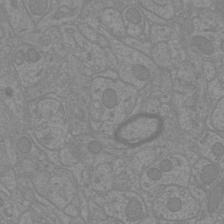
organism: Mouse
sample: Cortical neurons